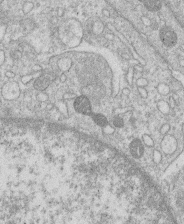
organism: Human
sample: Macrophage cells